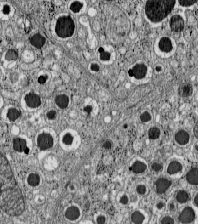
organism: C57BL Mouse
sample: Pancreatic islet